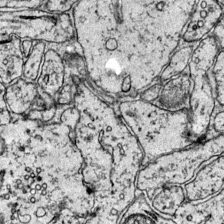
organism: Mouse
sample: Primary visual cortex